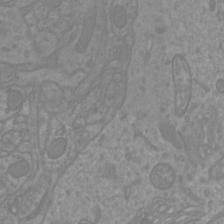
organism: Mouse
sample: Cortical neurons